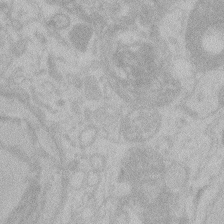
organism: Zebrafish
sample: Macrophage infected with Toxoplasma gondii